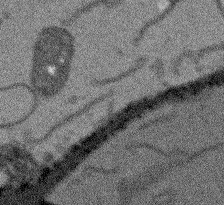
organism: Arabidopsis thaliana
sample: Root tip